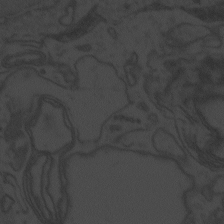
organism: Zebrafish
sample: Macrophage infected with Toxoplasma gondii